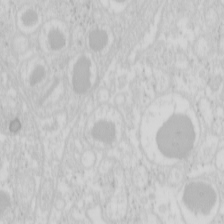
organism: Mouse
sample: Pancreas